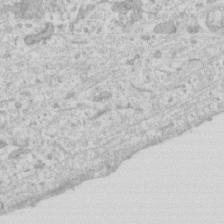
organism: Human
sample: Fibroblast cells